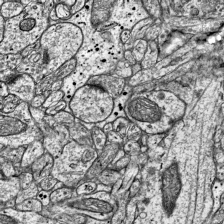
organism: Mouse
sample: Visual Cortex